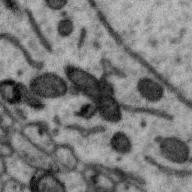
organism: Zebra finch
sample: Brain